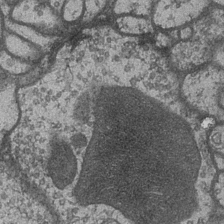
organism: Drosophila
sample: Optic medulla